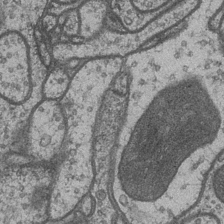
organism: Drosophila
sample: Optic medulla